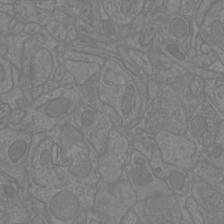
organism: Mouse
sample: Cortical neurons